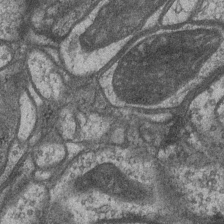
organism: Drosophila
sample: Optic medulla